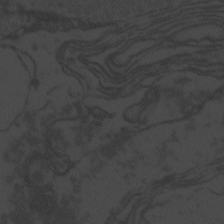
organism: Zebrafish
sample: Macrophage infected with Toxoplasma gondii